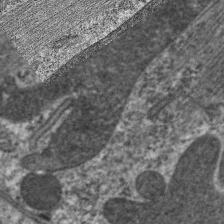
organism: C. elegans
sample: Pharynx